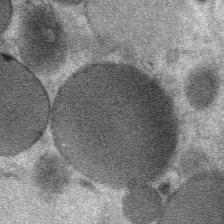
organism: Mouse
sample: Mouse Salivary gland